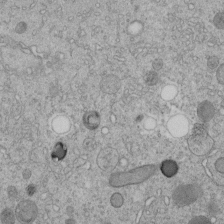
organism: C. elegans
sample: C. elegans embryo early stage